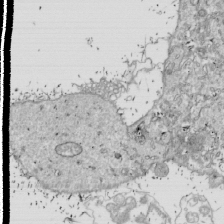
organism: Drosophila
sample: Cell division; meiosis; drosophila spermatocytes